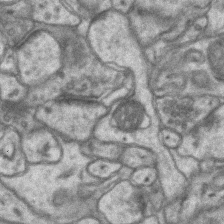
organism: Mouse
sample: CA1 Hippocampus